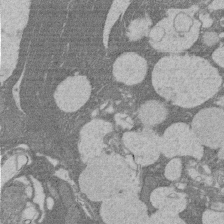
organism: Rat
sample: Salivary granule